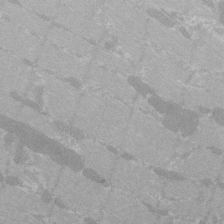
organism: C57BL Mouse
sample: Tibialis anterior muscle cell